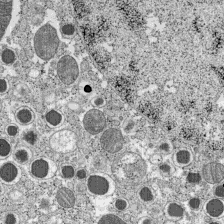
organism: C57BL Mouse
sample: Pancreatic islet